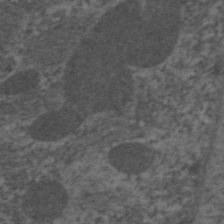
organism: C. elegans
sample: Pharynx